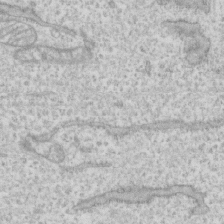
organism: Human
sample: CRL-1474